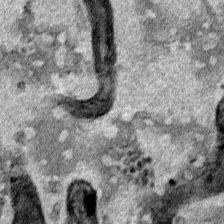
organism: Human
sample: Mitochondria in HCT116 cells